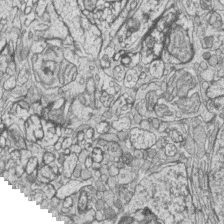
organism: Zebrafish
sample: synaptic ribbons in rod cells and cone cells